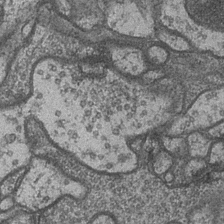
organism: Drosophila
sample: Optic medulla